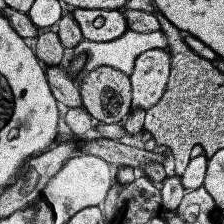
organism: Human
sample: Temporal Lobe